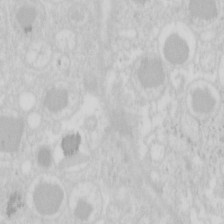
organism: Mouse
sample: Pancreas